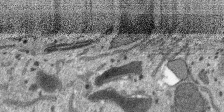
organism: Human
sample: Lung epithelial cells infected with SARS-CoV-2